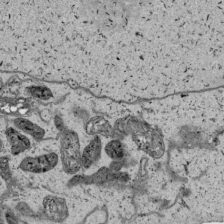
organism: Human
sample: Mitochondria in HCT116 cells